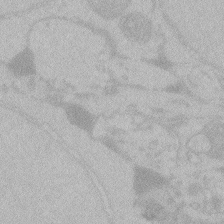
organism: Zebrafish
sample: Macrophage infected with Toxoplasma gondii